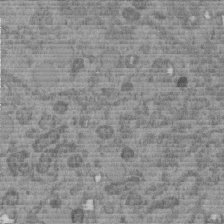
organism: C. elegans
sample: C. elegans embryo early stage